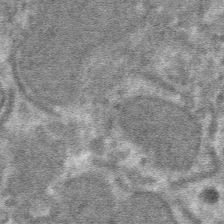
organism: Mouse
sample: Mouse hepatocytes